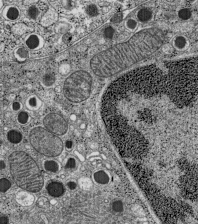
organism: C57BL Mouse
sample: Pancreatic islet